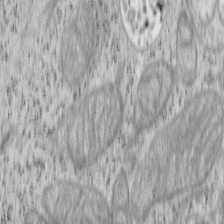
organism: Human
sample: HeLa cells